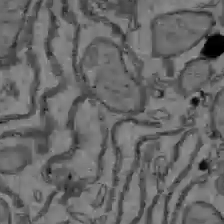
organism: C57BL Mouse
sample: Liver